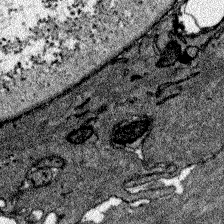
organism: Zebrafish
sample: Larval olfactory bulb